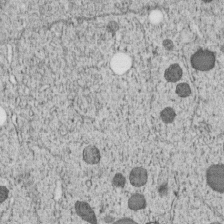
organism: C. elegans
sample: C. elegans embryo early stage